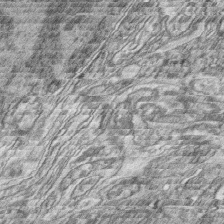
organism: Zebrafish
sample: synaptic ribbons in rod cells and cone cells